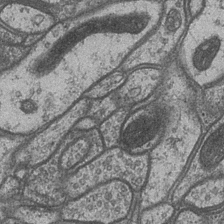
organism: Drosophila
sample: Optic medulla